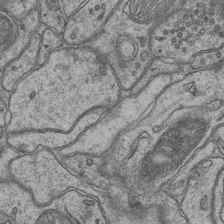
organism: Mouse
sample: CA1 Hippocampus